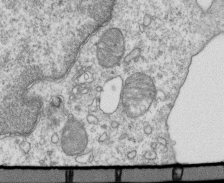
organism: Mouse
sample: Activated OT-1 CD8+ T cells